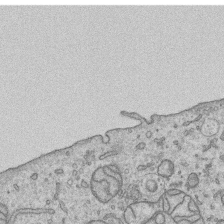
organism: Human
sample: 1205lu cells